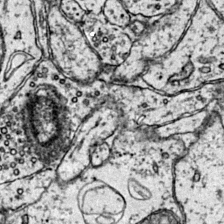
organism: Mouse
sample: Primary visual cortex